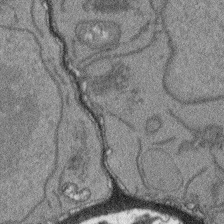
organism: Arabidopsis thaliana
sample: Root tip